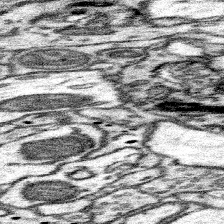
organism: Mouse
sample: Somatosensory cortex neuropil